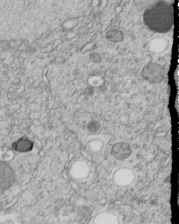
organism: C. elegans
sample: C. elegans embryo early stage